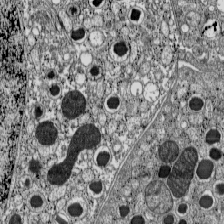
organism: C57BL Mouse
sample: Pancreatic islet